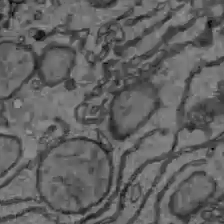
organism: C57BL Mouse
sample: Liver